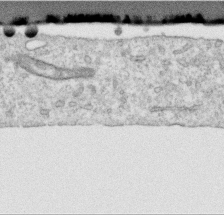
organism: Human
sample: Centriole in RPE cells